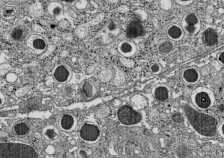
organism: C57BL Mouse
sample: Pancreatic islet